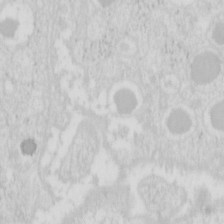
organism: Mouse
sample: Pancreas